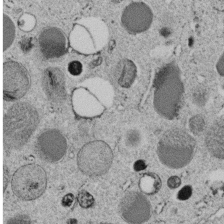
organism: C. elegans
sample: C. elegans embryo early stage